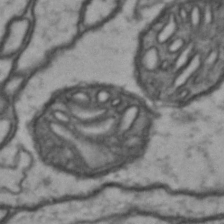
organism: Drosophila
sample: Brain